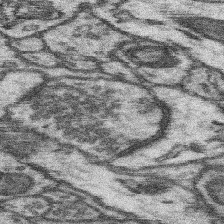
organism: Mouse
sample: Somatosensory cortex neuropil